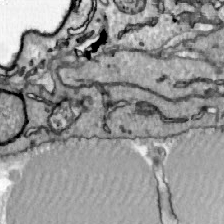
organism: Zebrafish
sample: Actinotrichia fibers